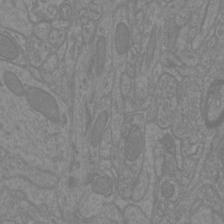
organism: Mouse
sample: Cortical neurons